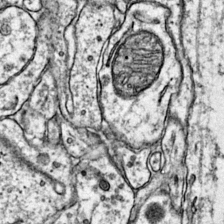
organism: Mouse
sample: Primary visual cortex